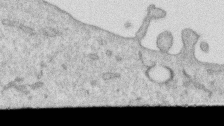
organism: Human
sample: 1205lu cells